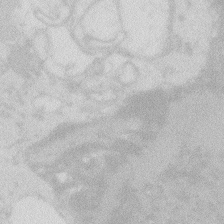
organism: Zebrafish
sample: Macrophage